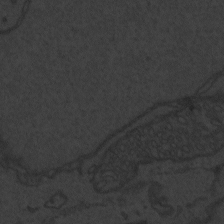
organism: Zebrafish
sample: Macrophage infected with Toxoplasma gondii